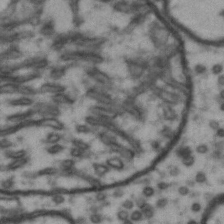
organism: Drosophila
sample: Brain